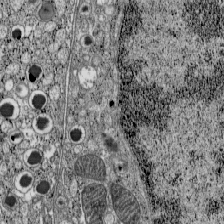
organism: C57BL Mouse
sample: Pancreatic islet